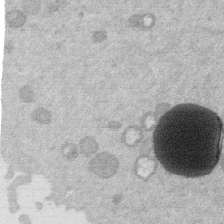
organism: Mouse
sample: Dividing mouse embryo 1 cell stage